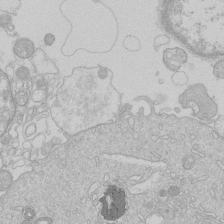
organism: Human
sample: Macrophage cells